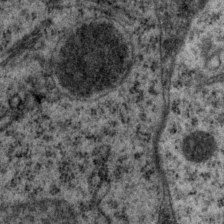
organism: P. pacificus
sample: Pharynx